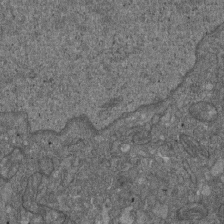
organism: Drosophila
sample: Nephrocyte